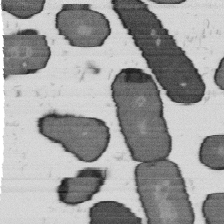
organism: B. subtilis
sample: Bacterial spore